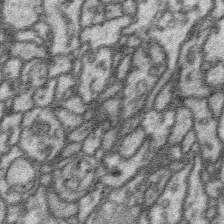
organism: Platynereis dumerilii